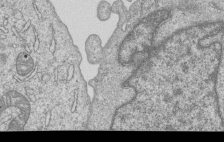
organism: Human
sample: MDA-MB-231 cells